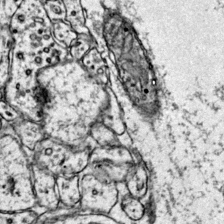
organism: Mouse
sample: Primary visual cortex